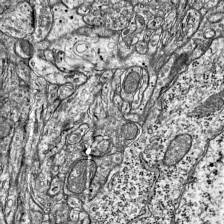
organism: Mouse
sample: Visual Cortex